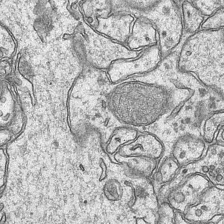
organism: Mouse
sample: CA1 Hippocampus